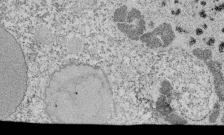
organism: Tetrahymena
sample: Cilia in tetrahymena